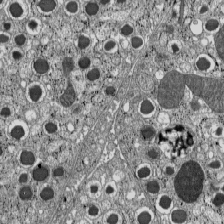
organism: C57BL Mouse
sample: Pancreatic islet